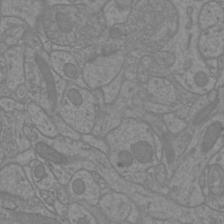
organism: Mouse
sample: Cortical neurons